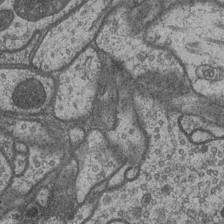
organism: Drosophila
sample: Optic medulla